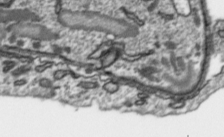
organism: Toxoplasma gondii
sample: Parasites in a vacuole inside a host cell